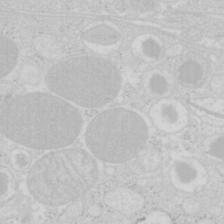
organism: Mouse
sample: Pancreas